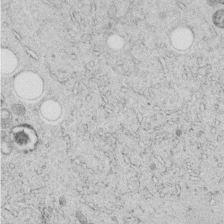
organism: C. elegans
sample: C. elegans embryo early stage